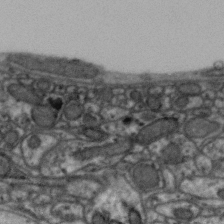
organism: Zebra finch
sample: Brain